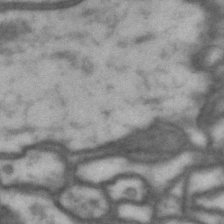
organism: Drosophila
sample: Brain